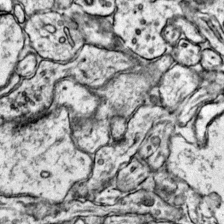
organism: Mouse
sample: Primary visual cortex